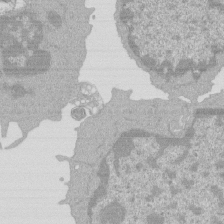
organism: Mouse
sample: Activated Pmel transgenic CD8+ T Cells